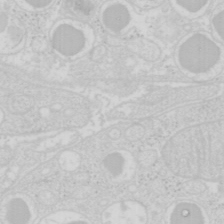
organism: Mouse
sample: Pancreas